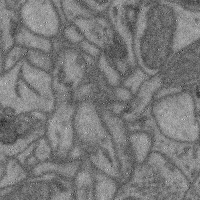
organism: Mouse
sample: Cerebral cortex